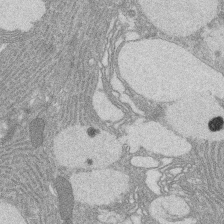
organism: Rat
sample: Salivary granule